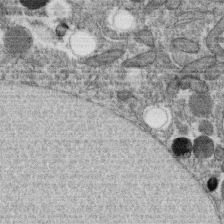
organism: C. elegans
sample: C. elegans oocyte; sperm cells